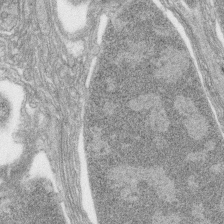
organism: Zebrafish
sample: synaptic ribbons in rod cells and cone cells